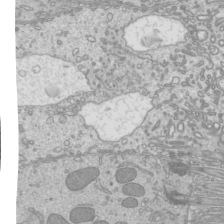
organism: Mouse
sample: Cilia; mouse epididymis